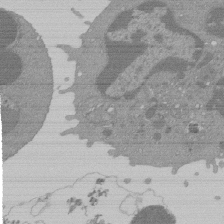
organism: Mouse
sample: Activated Pmel transgenic CD8+ T Cells